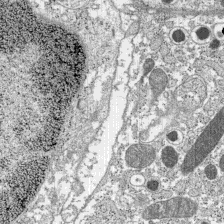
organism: C57BL Mouse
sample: Pancreatic islet